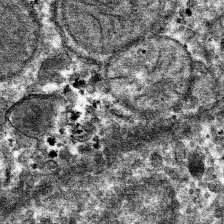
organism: Mouse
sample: Mouse hepatocytes